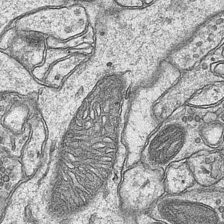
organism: Mouse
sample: CA1 Hippocampus